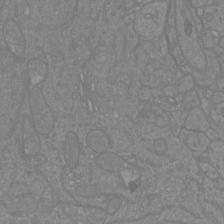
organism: Mouse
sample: Cortical neurons